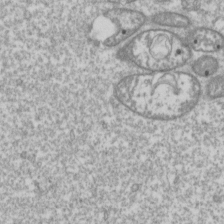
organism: Drosophila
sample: Cell division; meiosis; drosophila spermatocytes